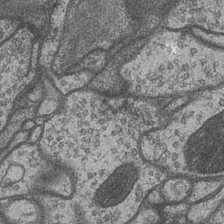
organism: Drosophila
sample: Optic medulla